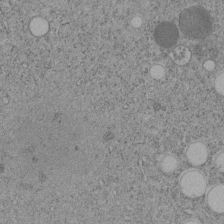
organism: C. elegans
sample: C. elegans embryo early stage